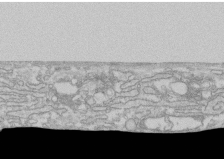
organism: Human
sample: CRL-1474